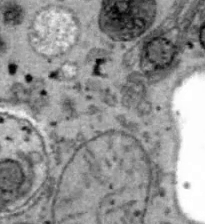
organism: Mouse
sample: Liver from an obese (ob/ob) mouse